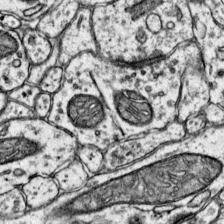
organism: Mouse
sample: Primary visual cortex